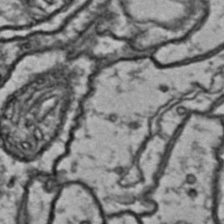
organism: Drosophila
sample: Brain